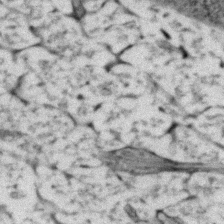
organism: Zebrafish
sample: Zebrafish embryo